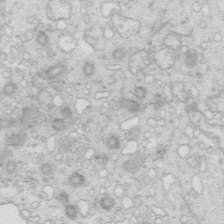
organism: Mouse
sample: Multiciliated cells